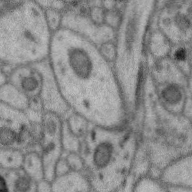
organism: Zebra finch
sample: Brain